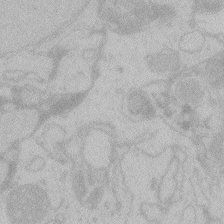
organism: Zebrafish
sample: Macrophage infected with Toxoplasma gondii